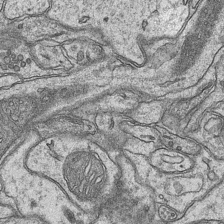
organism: Mouse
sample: CA1 Hippocampus